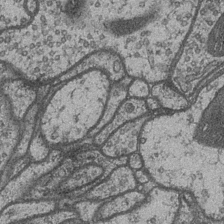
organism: Drosophila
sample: Optic medulla